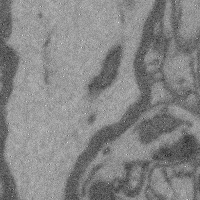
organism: Mouse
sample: Cerebral cortex